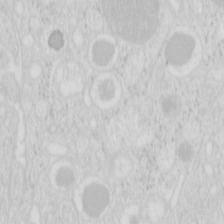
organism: Mouse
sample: Pancreas